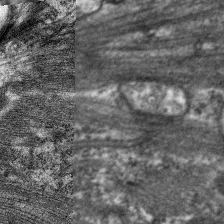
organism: C. elegans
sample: Pharynx